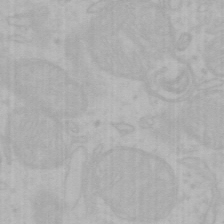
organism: Mouse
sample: Choroid plexus